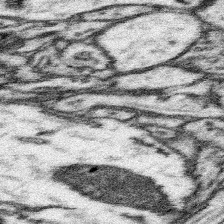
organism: Mouse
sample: Somatosensory cortex neuropil